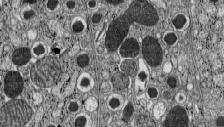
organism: C57BL Mouse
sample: Pancreatic islet